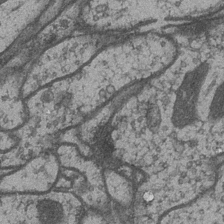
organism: Drosophila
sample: Optic medulla